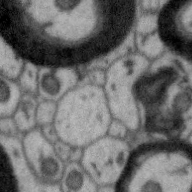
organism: Zebra finch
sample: Brain